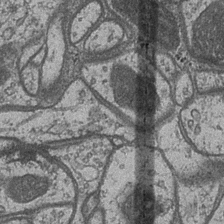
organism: Drosophila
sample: Optic medulla